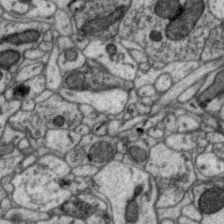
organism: Zebra finch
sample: Brain